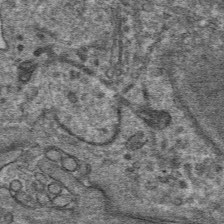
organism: Mouse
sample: Mouse hepatocytes